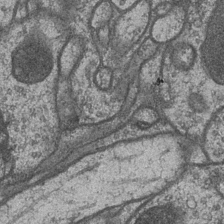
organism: Drosophila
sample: Optic medulla